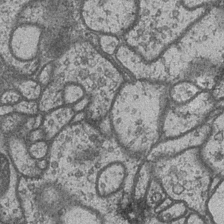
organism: Drosophila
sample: Optic medulla